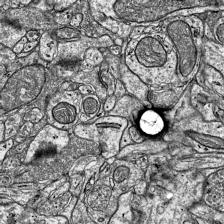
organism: Mouse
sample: Visual Cortex